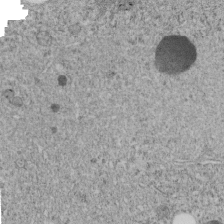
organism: C. elegans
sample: C. elegans embryo early stage